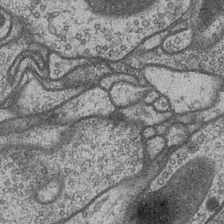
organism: Drosophila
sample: Optic medulla